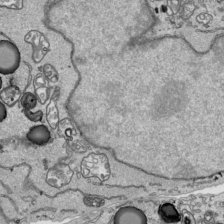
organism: Human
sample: Mitochondria in HCT116 cells